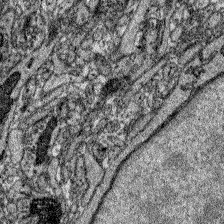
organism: Zebrafish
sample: Larval olfactory bulb